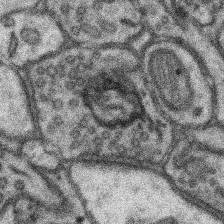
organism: Mouse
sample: Somatosensory cortex neuropil